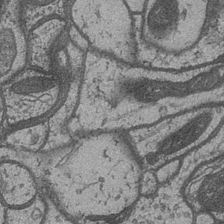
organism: Drosophila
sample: Optic medulla